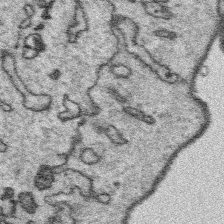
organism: Platynereis dumerilii